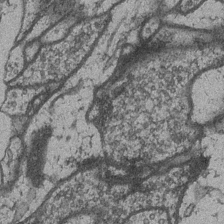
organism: Drosophila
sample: Optic medulla